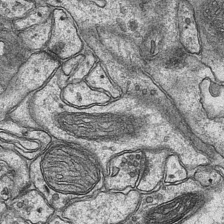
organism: Mouse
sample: CA1 Hippocampus